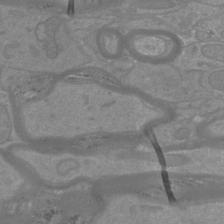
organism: Mouse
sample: Cortical neurons